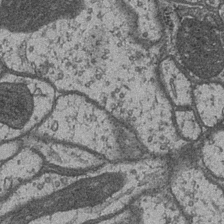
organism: Drosophila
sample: Optic medulla